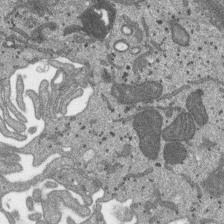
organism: Human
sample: Lung epithelial cells infected with SARS-CoV-2